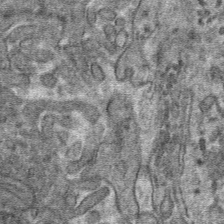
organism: Mouse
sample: Mouse hepatocytes